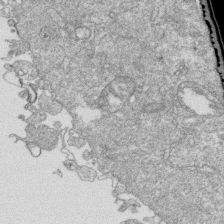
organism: Human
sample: HeLa cell HIV synapse